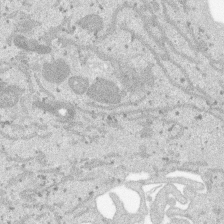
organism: Human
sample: Lung epithelial cells infected with SARS-CoV-2